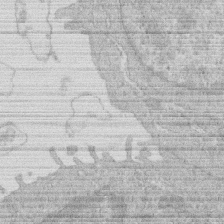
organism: Human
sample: Macrophage cells